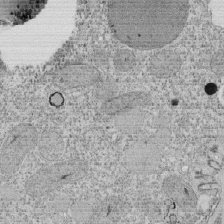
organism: Tetrahymena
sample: Cilia in tetrahymena